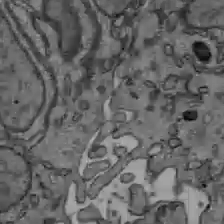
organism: C57BL Mouse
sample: Liver